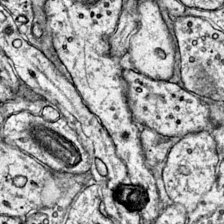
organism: Mouse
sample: Primary visual cortex